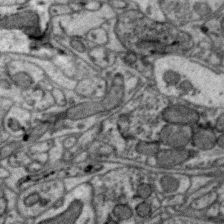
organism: Zebra finch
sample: Brain